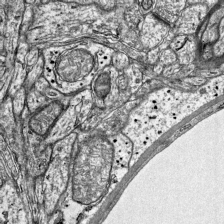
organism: Mouse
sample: Visual Cortex